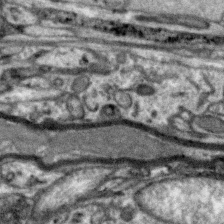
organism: Zebra finch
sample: Brain